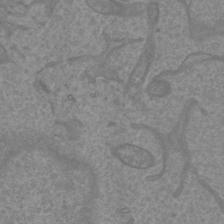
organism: Mouse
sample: Cortical neurons